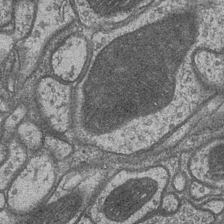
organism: Drosophila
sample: Optic medulla